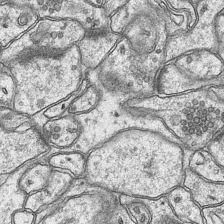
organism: Mouse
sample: CA1 Hippocampus